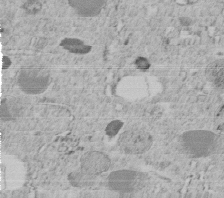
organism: C. elegans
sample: C. elegans embryo early stage